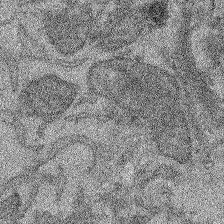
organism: Human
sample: HeLa cells